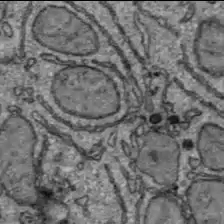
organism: C57BL Mouse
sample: Liver